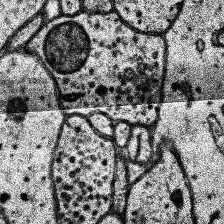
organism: Human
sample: Temporal Lobe